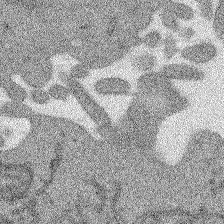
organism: Human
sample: HeLa cells